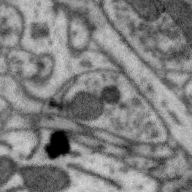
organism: Zebra finch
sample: Brain